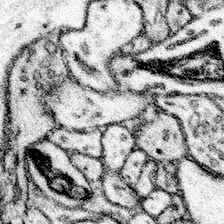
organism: Mouse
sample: Somatosensory cortex neuropil